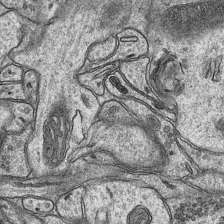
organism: Mouse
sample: CA1 Hippocampus